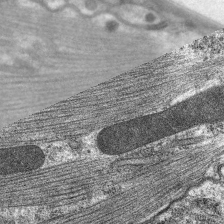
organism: C. elegans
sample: Pharynx